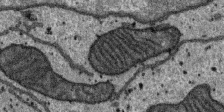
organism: Human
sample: Lung epithelial cells, uninfected (mock) control